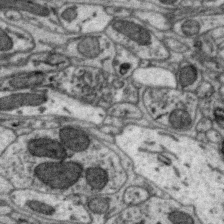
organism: Zebra finch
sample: Brain